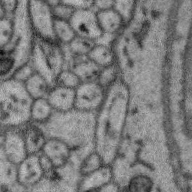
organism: Zebra finch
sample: Brain